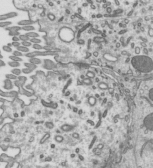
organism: Mouse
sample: Mouse epididymis efferent ductule cilia